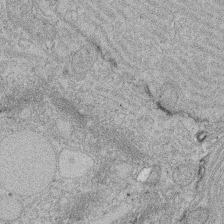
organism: Rat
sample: Salivary granule